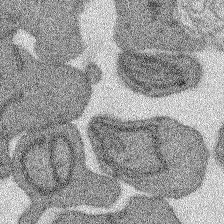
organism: Human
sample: HeLa cells